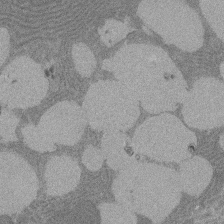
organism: Rat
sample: Salivary granule